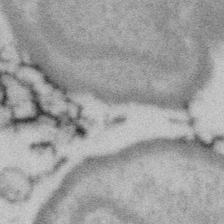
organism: Gemmata obscuriglobus